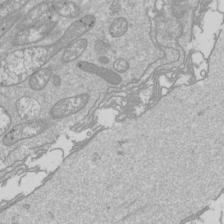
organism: Drosophila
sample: Cell division; meiosis; drosophila spermatocytes